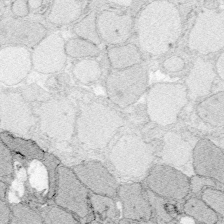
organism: Zebrafish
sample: Whole-Brain